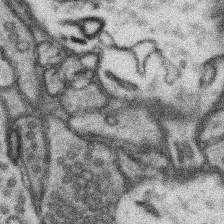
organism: Mouse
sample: Somatosensory cortex neuropil